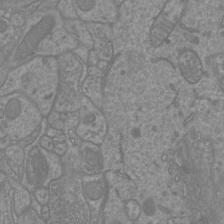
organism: Mouse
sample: Cortical neurons